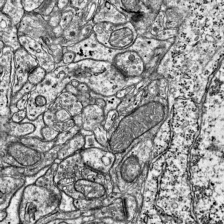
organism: Mouse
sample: Visual Cortex